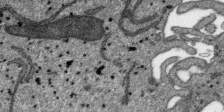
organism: Human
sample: Lung epithelial cells, uninfected (mock) control